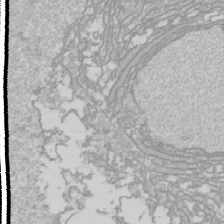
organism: Drosophila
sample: Cell division; meiosis; drosophila spermatocytes